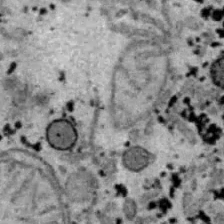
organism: Mouse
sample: Liver from an obese (ob/ob) mouse